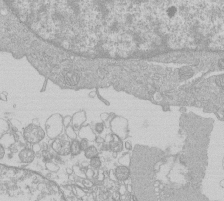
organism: Human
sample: Macrophage cells